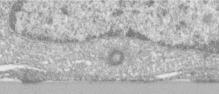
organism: Human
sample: Centriole in RPE cells